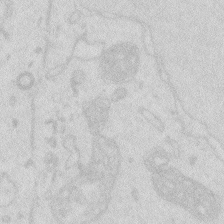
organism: Zebrafish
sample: Macrophage